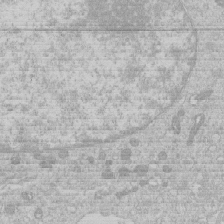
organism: Human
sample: Macrophage cells